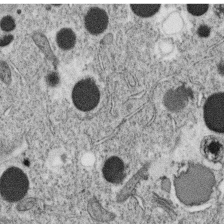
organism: C. elegans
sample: C. elegans oocyte; sperm cells